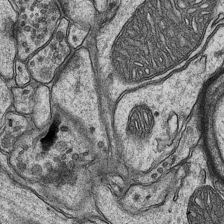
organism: Mouse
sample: CA1 Hippocampus